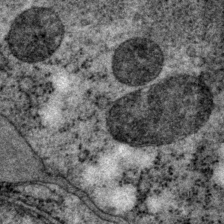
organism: P. pacificus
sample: Pharynx